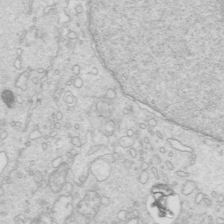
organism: Mouse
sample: Multiciliated cells